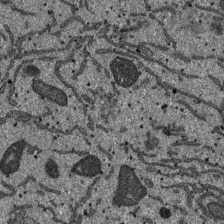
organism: Human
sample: Lung epithelial cells infected with SARS-CoV-2